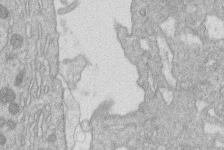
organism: Human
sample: Macrophage cells